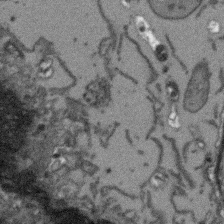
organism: Arabidopsis thaliana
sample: Root tip